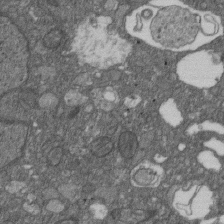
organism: Drosophila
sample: Nephrocyte